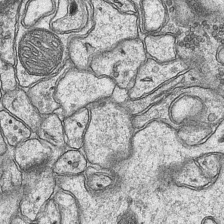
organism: Mouse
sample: CA1 Hippocampus